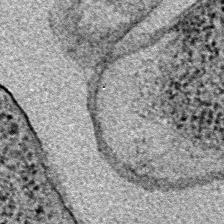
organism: E. coli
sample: E. Coli Bacteria